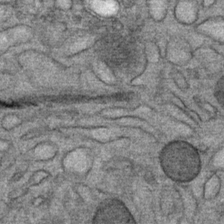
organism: Mouse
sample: Mouse Salivary gland